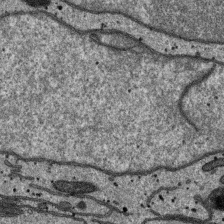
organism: Human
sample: Lung epithelial cells, uninfected (mock) control